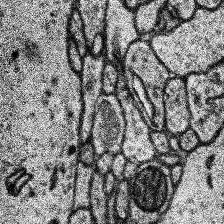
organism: Human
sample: Temporal Lobe